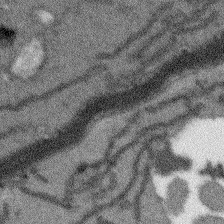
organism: Arabidopsis thaliana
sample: Root tip